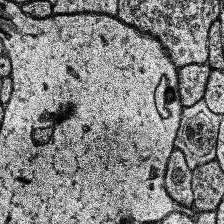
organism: Human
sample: Temporal Lobe